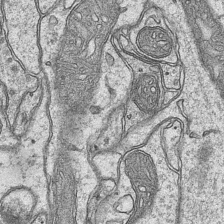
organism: Mouse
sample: CA1 Hippocampus